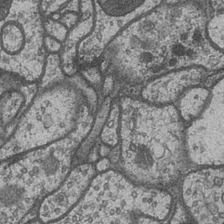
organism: Drosophila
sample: Optic medulla